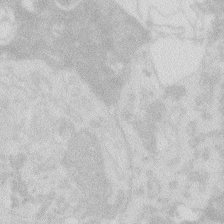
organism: Zebrafish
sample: Macrophage